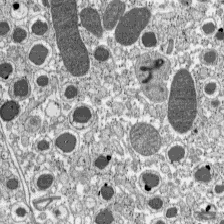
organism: C57BL Mouse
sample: Pancreatic islet